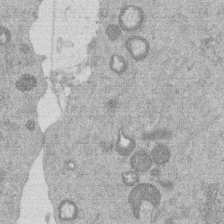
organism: Mouse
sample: Dividing mouse embryo 1 cell stage